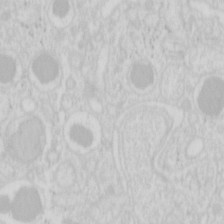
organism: Mouse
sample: Pancreas